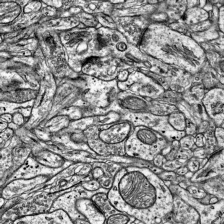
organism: Mouse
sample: Visual Cortex